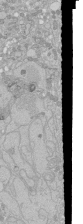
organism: Human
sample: Caco-2 cells